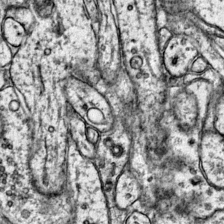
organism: Mouse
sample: Primary visual cortex